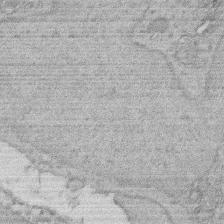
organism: Rat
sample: Salivary granule